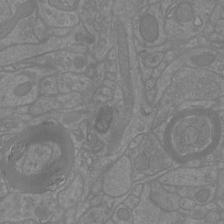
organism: Mouse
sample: Cortical neurons